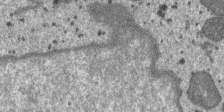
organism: Human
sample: Lung epithelial cells infected with SARS-CoV-2